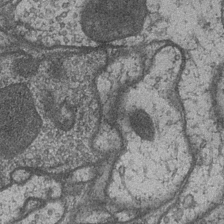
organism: Drosophila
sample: Optic medulla